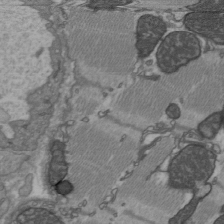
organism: C57BL Mouse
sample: Heart